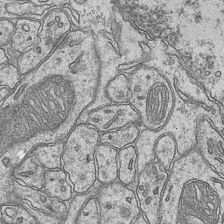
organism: Mouse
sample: CA1 Hippocampus